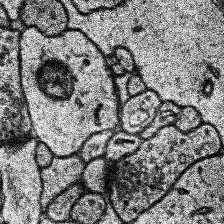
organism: Human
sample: Temporal Lobe